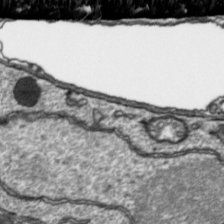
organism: Toxoplasma gondii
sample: Parasites in a vacuole inside a host cell